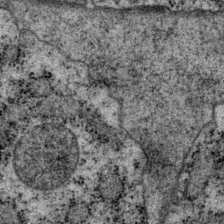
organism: P. pacificus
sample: Pharynx